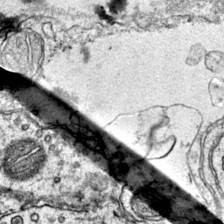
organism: Mouse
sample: Primary visual cortex